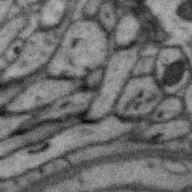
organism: Zebra finch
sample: Brain